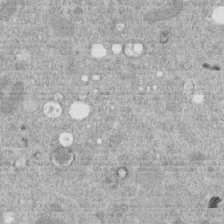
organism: C. elegans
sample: C. elegans embryo early stage